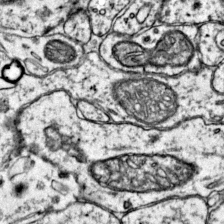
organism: Mouse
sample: Primary visual cortex